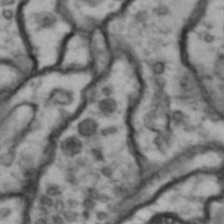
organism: Drosophila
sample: Brain